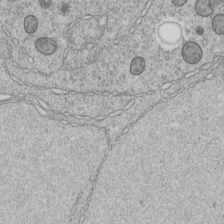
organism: C. elegans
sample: C. elegans embryo early stage